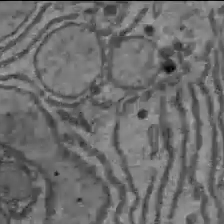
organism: C57BL Mouse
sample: Liver